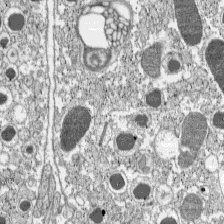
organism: C57BL Mouse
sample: Pancreatic islet